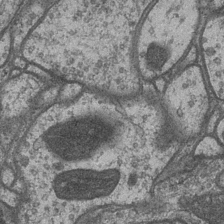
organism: Drosophila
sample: Optic medulla